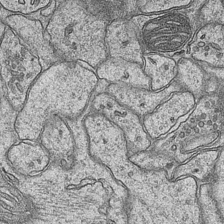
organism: Mouse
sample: CA1 Hippocampus